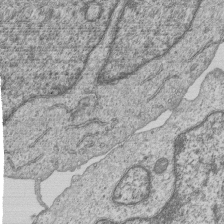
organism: Human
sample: MDA-MB-231 cells